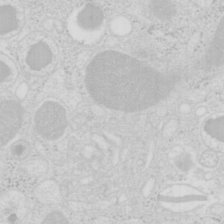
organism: Mouse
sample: Pancreas